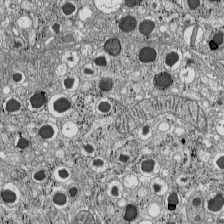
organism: C57BL Mouse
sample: Pancreatic islet